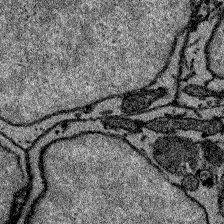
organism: Zebrafish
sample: Larval olfactory bulb